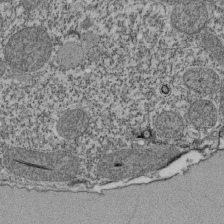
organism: Tetrahymena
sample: Cilia in tetrahymena